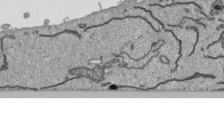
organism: Human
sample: Mitochondria in HCT116 cells